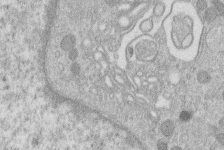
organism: Human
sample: Macrophage cells